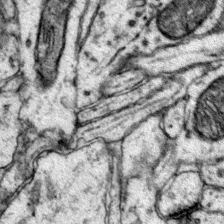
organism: Mouse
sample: Primary visual cortex